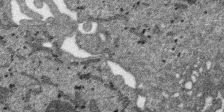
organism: Human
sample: Lung epithelial cells infected with SARS-CoV-2